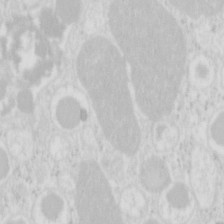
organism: Mouse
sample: Pancreas